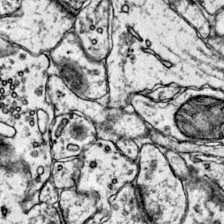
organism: Mouse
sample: Primary visual cortex